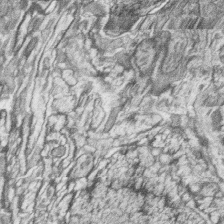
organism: Zebrafish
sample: synaptic ribbons in rod cells and cone cells